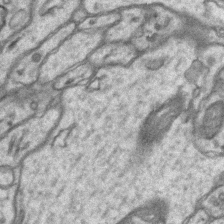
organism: Mouse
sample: CA1 Hippocampus